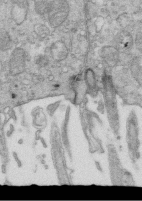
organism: Mouse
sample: Multiciliated cells